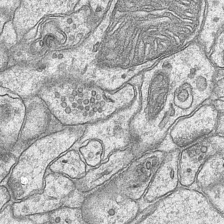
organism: Mouse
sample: CA1 Hippocampus